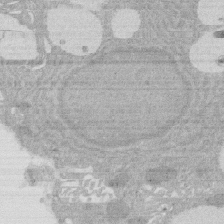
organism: Rat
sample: Salivary granule